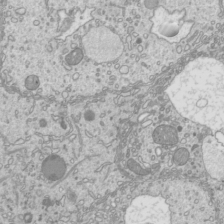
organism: Mouse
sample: Cilia; mouse epididymis